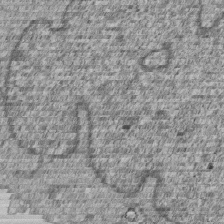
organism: Human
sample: MDA-MB-231 cells